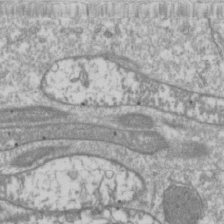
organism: Drosophila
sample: Cell division; meiosis; drosophila spermatocytes